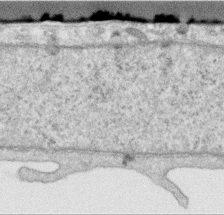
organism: Human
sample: Centriole in RPE cells